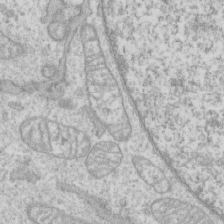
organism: Human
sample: CRL-1474